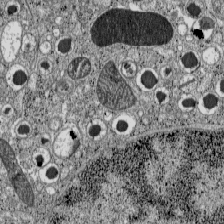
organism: C57BL Mouse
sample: Pancreatic islet